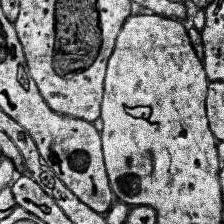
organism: Human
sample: Temporal Lobe